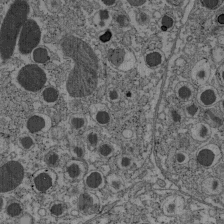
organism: C57BL Mouse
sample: Pancreatic islet